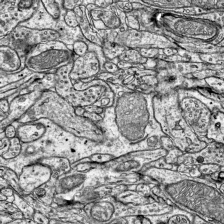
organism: Mouse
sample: Visual Cortex